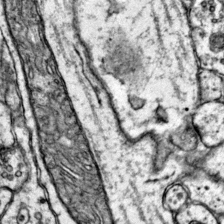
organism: Mouse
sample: Primary visual cortex